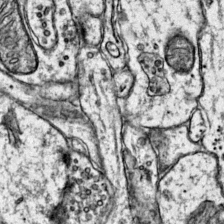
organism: Mouse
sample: Primary visual cortex